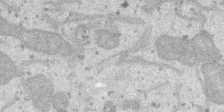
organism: Human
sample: Lung epithelial cells infected with SARS-CoV-2